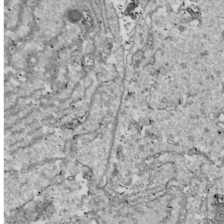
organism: Drosophila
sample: Cell division; meiosis; drosophila spermatocytes